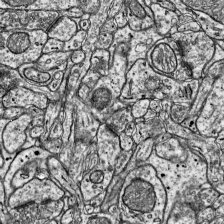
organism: Mouse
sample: Visual Cortex